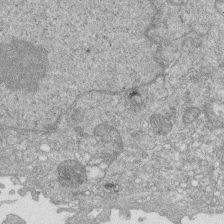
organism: Human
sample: HeLa cell HIV synapse